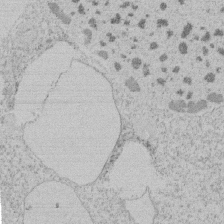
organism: Tetrahymena